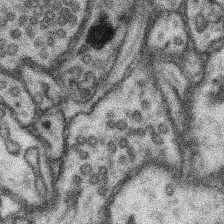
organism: Mouse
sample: Somatosensory cortex neuropil